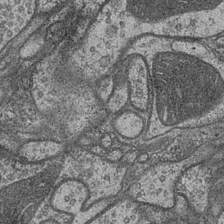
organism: Drosophila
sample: Optic medulla